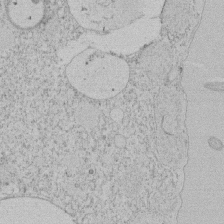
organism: Tetrahymena